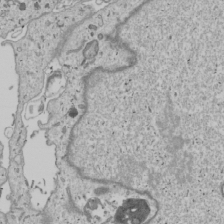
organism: Human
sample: Mitochondria in U2OS cells